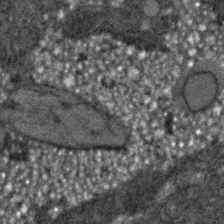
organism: C. elegans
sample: C. elegans embryo